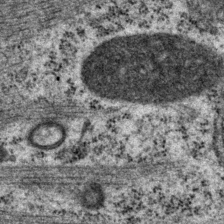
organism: P. pacificus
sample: Pharynx